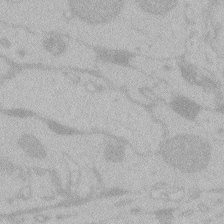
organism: Zebrafish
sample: Macrophage infected with Toxoplasma gondii